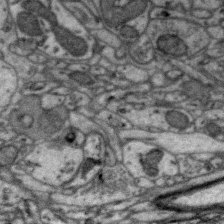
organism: Zebra finch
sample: Brain